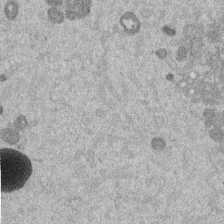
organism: Mouse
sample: Dividing mouse embryo 1 cell stage